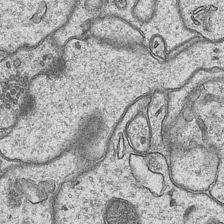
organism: Mouse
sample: CA1 Hippocampus